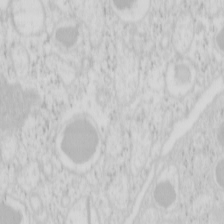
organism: Mouse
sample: Pancreas